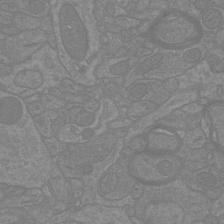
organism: Mouse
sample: Cortical neurons